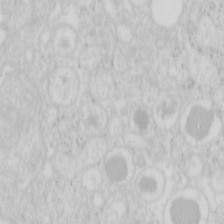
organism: Mouse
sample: Pancreas